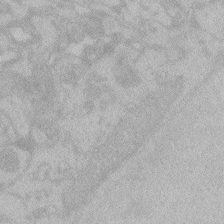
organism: Zebrafish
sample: Macrophage infected with Toxoplasma gondii